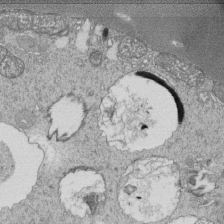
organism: Tetrahymena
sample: Cilia in tetrahymena